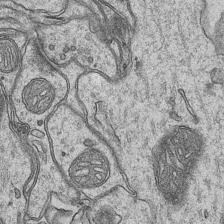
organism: Mouse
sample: CA1 Hippocampus